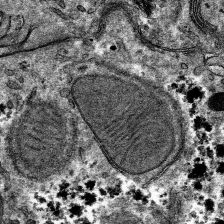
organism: Mouse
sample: Mouse hepatocytes